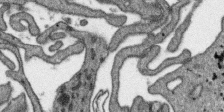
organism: Human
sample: Lung epithelial cells, uninfected (mock) control